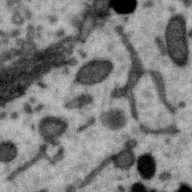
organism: Zebra finch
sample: Brain